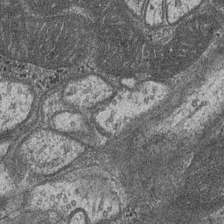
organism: Drosophila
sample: Optic medulla